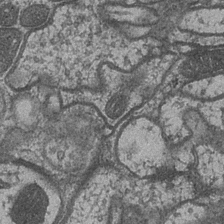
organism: Drosophila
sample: Optic medulla